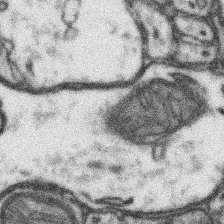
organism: Mouse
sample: Somatosensory cortex neuropil